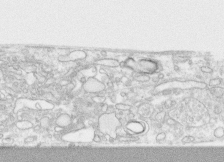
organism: Human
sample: CRL-1474